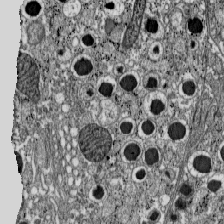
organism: C57BL Mouse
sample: Pancreatic islet